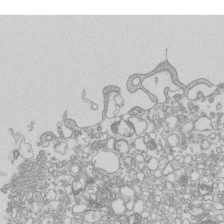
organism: Mouse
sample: Macrophages